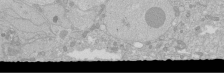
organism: Human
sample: Caco-2 cells